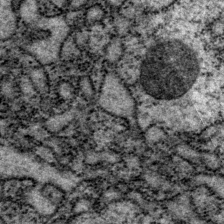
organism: P. pacificus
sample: Pharynx